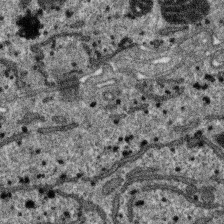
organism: Human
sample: Lung epithelial cells infected with SARS-CoV-2